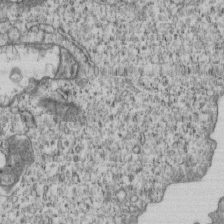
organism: Human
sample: MDA-MB-231 cells